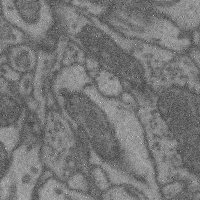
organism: Mouse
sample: Cerebral cortex